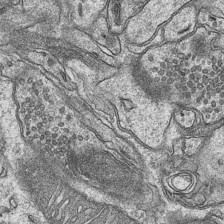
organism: Mouse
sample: CA1 Hippocampus